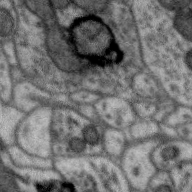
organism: Zebra finch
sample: Brain